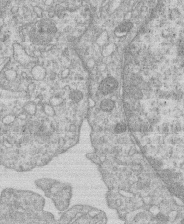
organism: Human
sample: Macrophage cells